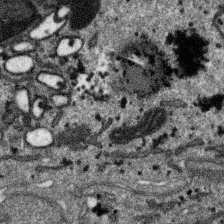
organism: Human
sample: Lung epithelial cells infected with SARS-CoV-2